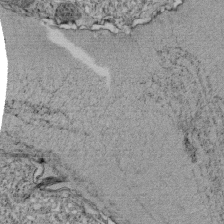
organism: Tetrahymena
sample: Cilia in tetrahymena